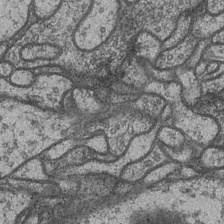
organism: Drosophila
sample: Optic medulla